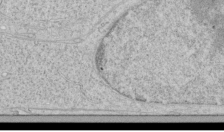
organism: Human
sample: Mitochondria in HCT116 cells